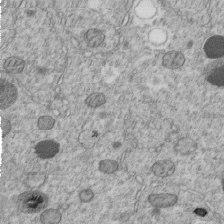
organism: C. elegans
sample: C. elegans embryo early stage